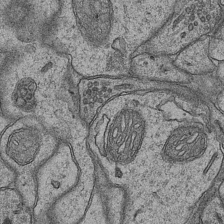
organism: Mouse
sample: CA1 Hippocampus